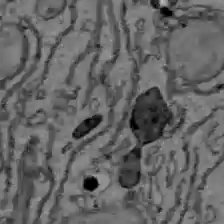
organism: C57BL Mouse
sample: Liver